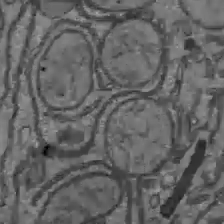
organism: C57BL Mouse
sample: Liver